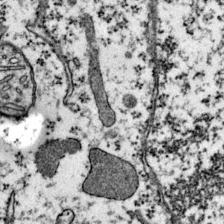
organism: Mouse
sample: Primary visual cortex